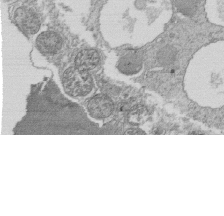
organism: Tetrahymena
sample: Cilia in tetrahymena